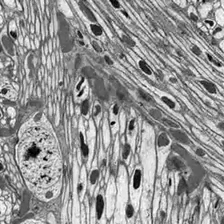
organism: Drosophila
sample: Optic lobe